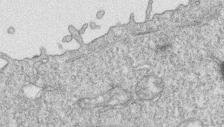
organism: Human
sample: HeLa cell HIV synapse